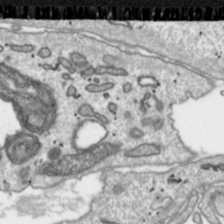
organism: Toxoplasma gondii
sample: Parasites in a vacuole inside a host cell